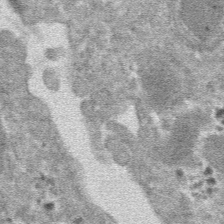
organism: Mouse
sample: Mouse hepatocytes